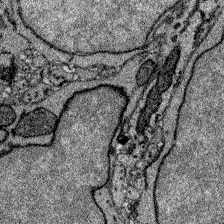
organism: Zebrafish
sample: Larval olfactory bulb